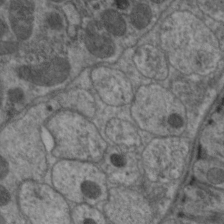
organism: C. elegans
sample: Pharynx